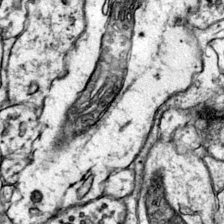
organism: Mouse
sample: Primary visual cortex